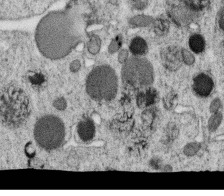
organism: C. elegans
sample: C. elegans oocyte; sperm cells